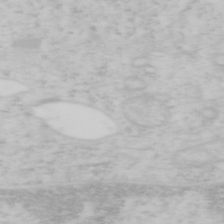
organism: Mouse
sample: OT-I killer T cells with ID8 ovarian cancer cells